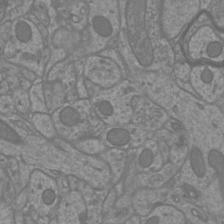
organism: Mouse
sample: Cortical neurons